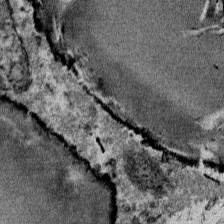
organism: Mouse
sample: Mouse Salivary gland